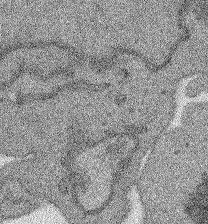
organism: Human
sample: HeLa cells